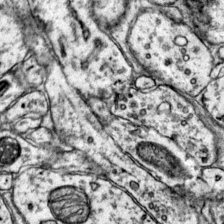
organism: Mouse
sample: Primary visual cortex